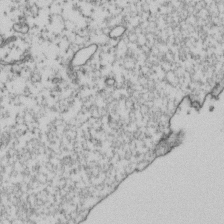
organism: Human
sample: Activated Jurkat CD4+ T cells